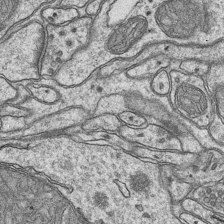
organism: Mouse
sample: CA1 Hippocampus